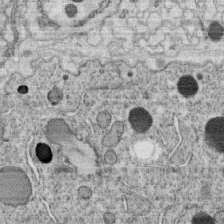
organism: C. elegans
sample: C. elegans oocyte; sperm cells